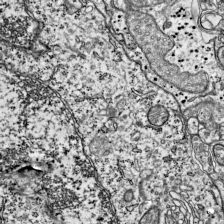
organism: Mouse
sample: Visual Cortex